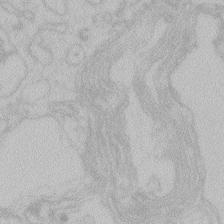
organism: Zebrafish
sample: Macrophage infected with Toxoplasma gondii